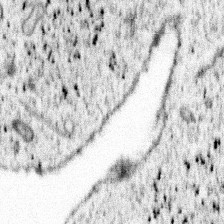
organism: Human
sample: HeLa cells